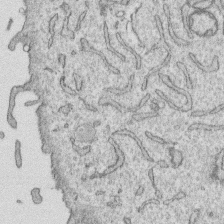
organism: Human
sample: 1205lu cells